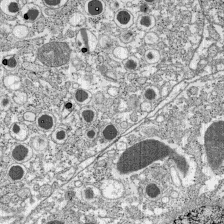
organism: C57BL Mouse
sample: Pancreatic islet